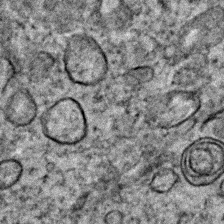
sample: Trachea